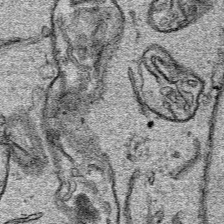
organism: Human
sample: Mitochondria in HCT116 cells